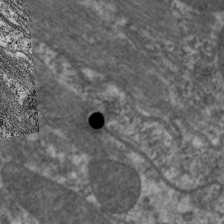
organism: C. elegans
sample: Pharynx